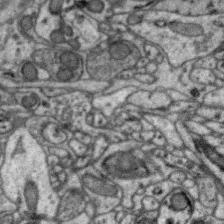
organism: Zebra finch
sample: Brain